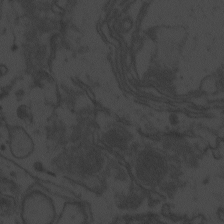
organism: Zebrafish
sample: Macrophage infected with Toxoplasma gondii